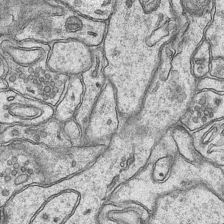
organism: Mouse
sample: CA1 Hippocampus